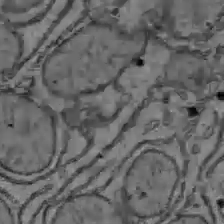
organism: C57BL Mouse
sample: Liver